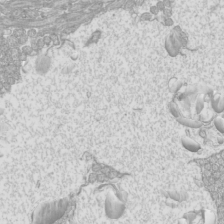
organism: Mouse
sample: Cilia; mouse epididymis